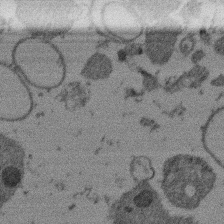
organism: Mouse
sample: Dividing mouse embryo 1 cell stage